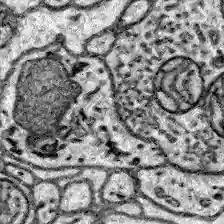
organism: Zebrafish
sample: Brain